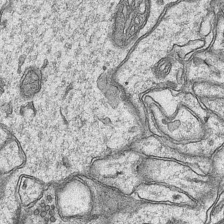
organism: Mouse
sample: CA1 Hippocampus